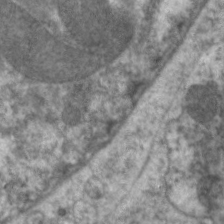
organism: C. elegans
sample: Pharynx